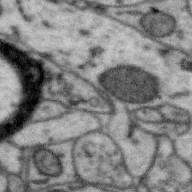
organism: Zebra finch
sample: Brain